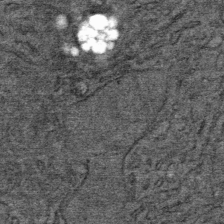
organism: Mouse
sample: Mouse Salivary gland